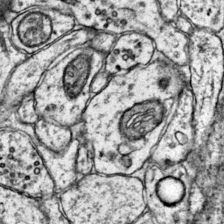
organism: Mouse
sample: Primary visual cortex